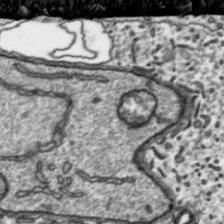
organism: Toxoplasma gondii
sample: Parasites in a vacuole inside a host cell